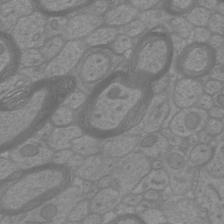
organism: Mouse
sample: Cortical neurons